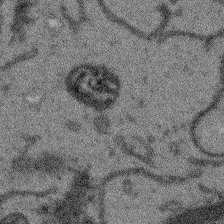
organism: Arabidopsis thaliana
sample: Root tip